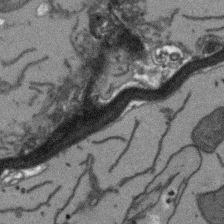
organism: Arabidopsis thaliana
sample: Root tip